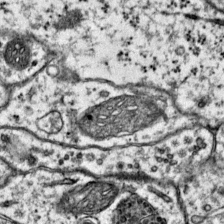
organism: Mouse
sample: Primary visual cortex